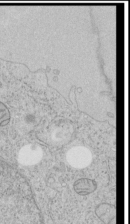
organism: Human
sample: Mitochondria in HCT116 cells